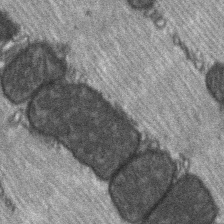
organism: C57BL Mouse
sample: Soleus